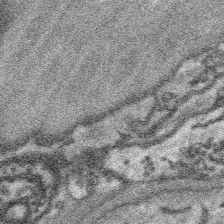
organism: Platynereis dumerilii